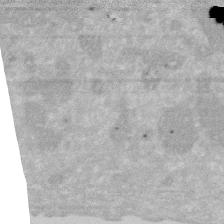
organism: Human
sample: HIV infected U937 cells